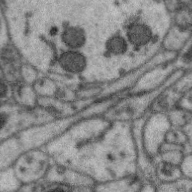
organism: Zebra finch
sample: Brain